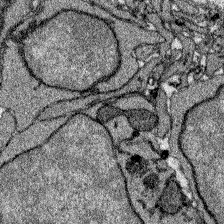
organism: Zebrafish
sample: Larval olfactory bulb